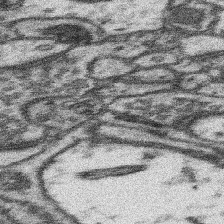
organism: Mouse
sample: Somatosensory cortex neuropil